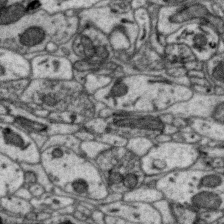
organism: Zebra finch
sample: Brain